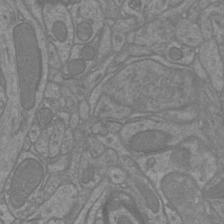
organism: Mouse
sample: Cortical neurons